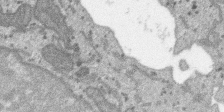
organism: Human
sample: Lung epithelial cells infected with SARS-CoV-2